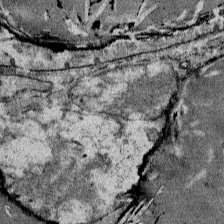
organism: Mouse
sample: Mouse Salivary gland